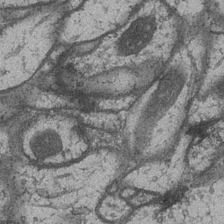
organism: Drosophila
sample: Optic medulla